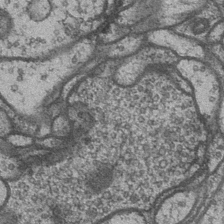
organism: Drosophila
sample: Optic medulla